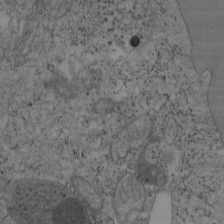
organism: Mouse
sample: OT-I killer T cells with ID8 ovarian cancer cells